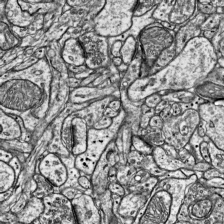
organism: Mouse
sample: Visual Cortex